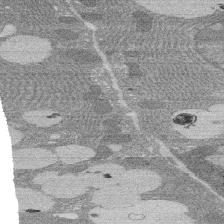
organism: Rat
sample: Salivary granule